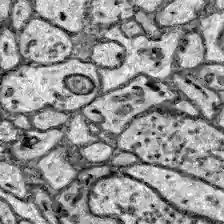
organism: Zebrafish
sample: Brain